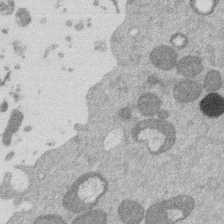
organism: Mouse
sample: Dividing mouse embryo 1 cell stage